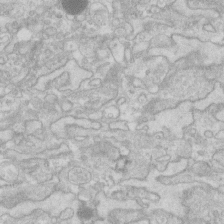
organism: Human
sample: Fibroblast cells